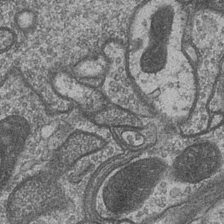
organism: Drosophila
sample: Optic medulla